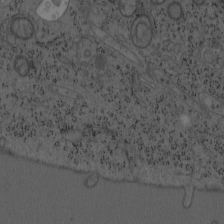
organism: Mouse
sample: OT-I killer T cells with ID8 ovarian cancer cells